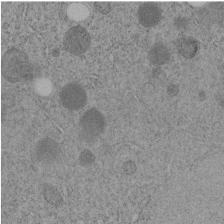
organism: C. elegans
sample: C. elegans embryo early stage